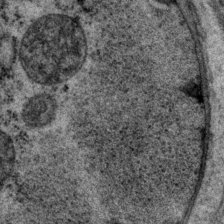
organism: P. pacificus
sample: Pharynx